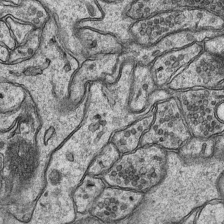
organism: Mouse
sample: CA1 Hippocampus